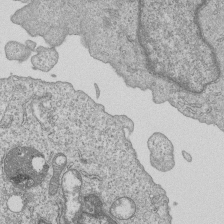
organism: Human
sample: MDA-MB-231 cells